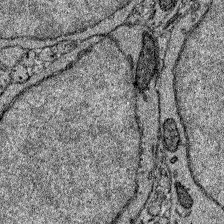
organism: Zebrafish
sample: Larval olfactory bulb